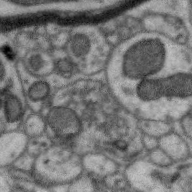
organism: Zebra finch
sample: Brain